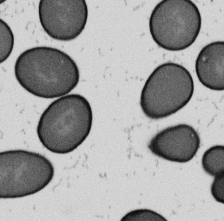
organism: B. subtilis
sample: Bacterial spore